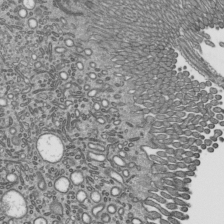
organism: Mouse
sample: Mouse epididymis efferent ductule cilia